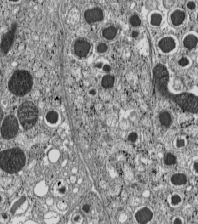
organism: C57BL Mouse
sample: Pancreatic islet